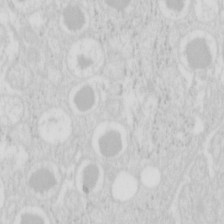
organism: Mouse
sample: Pancreas